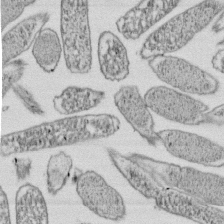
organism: E. coli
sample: Bacterial nucleoid